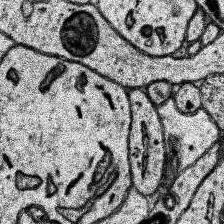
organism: Human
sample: Temporal Lobe